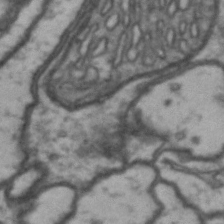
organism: Drosophila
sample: Brain